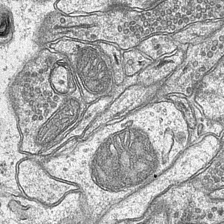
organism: Mouse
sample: CA1 Hippocampus